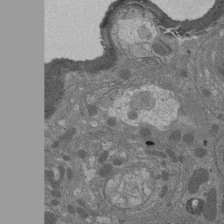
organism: Drosophila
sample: Antenna